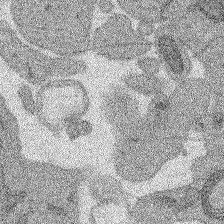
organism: Human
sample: HeLa cells